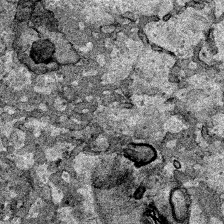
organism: Human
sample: Mitochondria in HCT116 cells